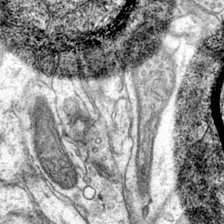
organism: Mouse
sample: Primary visual cortex